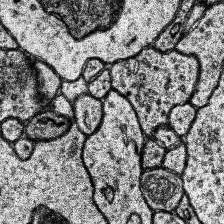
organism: Human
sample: Temporal Lobe